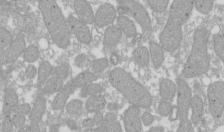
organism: Xenopus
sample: Cilia; centrioles in frog embryo cells